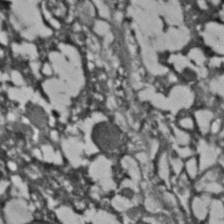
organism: C. elegans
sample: C. elegans embryo